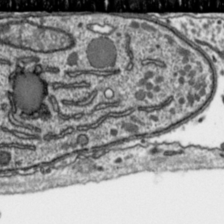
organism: Toxoplasma gondii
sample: Parasites in a vacuole inside a host cell